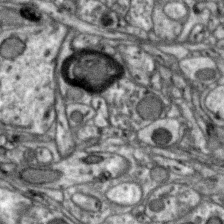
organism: Zebra finch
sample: Brain